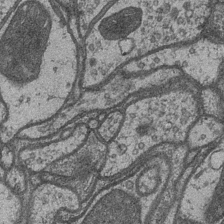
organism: Drosophila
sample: Optic medulla